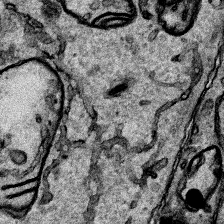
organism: Human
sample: Mitochondria in HCT116 cells